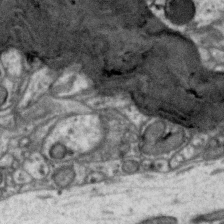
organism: Zebra finch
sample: Brain